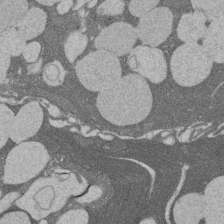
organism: Rat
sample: Salivary granule